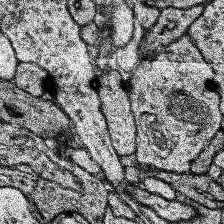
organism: Human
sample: Temporal Lobe